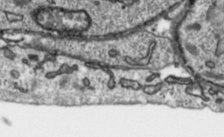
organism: Toxoplasma gondii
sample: Parasites in a vacuole inside a host cell